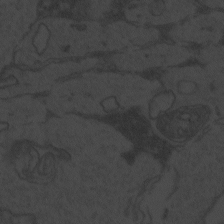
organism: Zebrafish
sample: Macrophage infected with Toxoplasma gondii